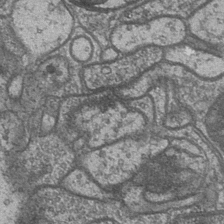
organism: Drosophila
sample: Optic medulla